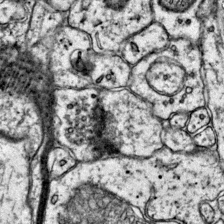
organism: Mouse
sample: Primary visual cortex